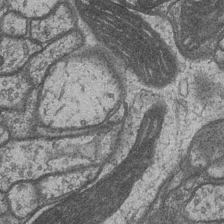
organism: Drosophila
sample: Optic medulla